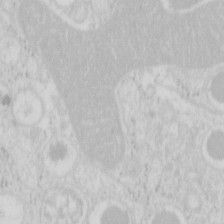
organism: Mouse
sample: Pancreas